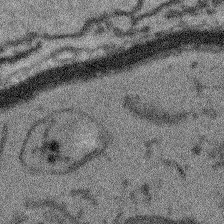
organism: Arabidopsis thaliana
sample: Root tip